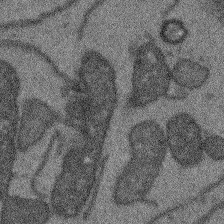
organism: Arabidopsis thaliana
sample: Root tip